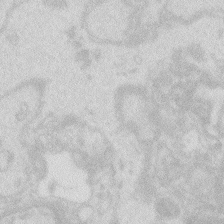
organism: Zebrafish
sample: Macrophage